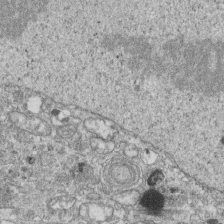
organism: Human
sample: HeLa cell HIV synapse